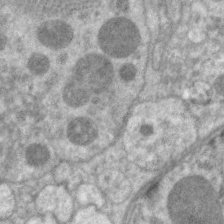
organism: C. elegans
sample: Pharynx